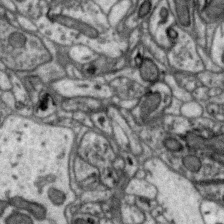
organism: Zebra finch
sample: Brain